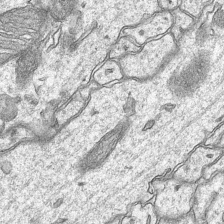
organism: Mouse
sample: CA1 Hippocampus